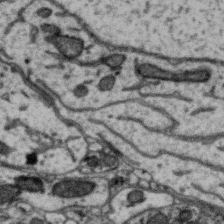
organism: Zebra finch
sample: Brain